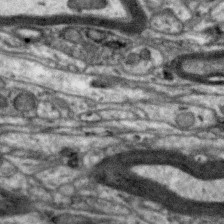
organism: Zebra finch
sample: Brain